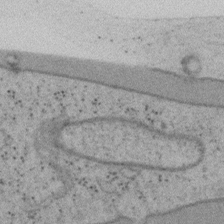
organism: Human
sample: HeLa cells